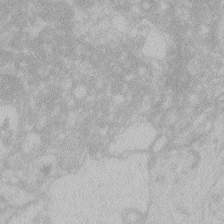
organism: Zebrafish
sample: Macrophage infected with Toxoplasma gondii